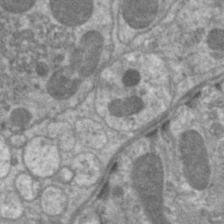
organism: C. elegans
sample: Pharynx